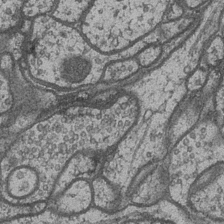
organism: Drosophila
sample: Optic medulla